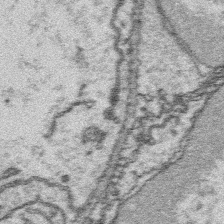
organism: Platynereis dumerilii